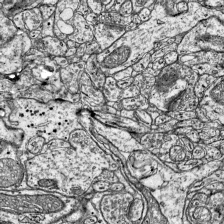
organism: Mouse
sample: Visual Cortex